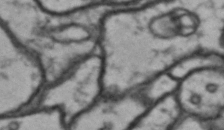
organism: Drosophila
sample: Brain